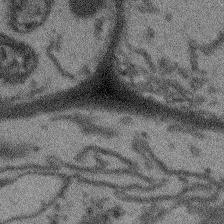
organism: Arabidopsis thaliana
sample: Root tip